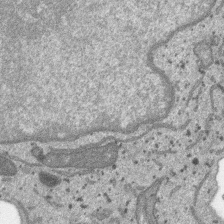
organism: Human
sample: Lung epithelial cells infected with SARS-CoV-2